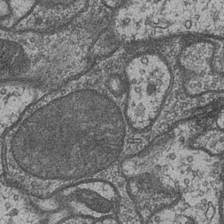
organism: Drosophila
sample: Optic medulla